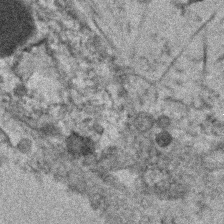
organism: Human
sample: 1205lu cells